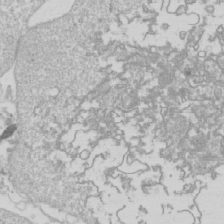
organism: Drosophila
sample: Cell division; meiosis; drosophila spermatocytes